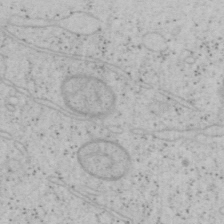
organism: Human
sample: HeLa cells